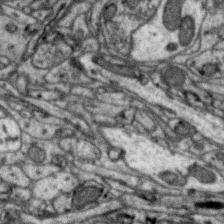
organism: Zebra finch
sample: Brain